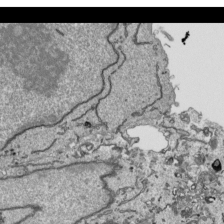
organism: Human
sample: Mitochondria in HCT116 cells